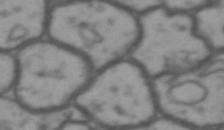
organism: Drosophila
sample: Brain